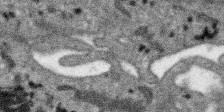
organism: Human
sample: Lung epithelial cells infected with SARS-CoV-2